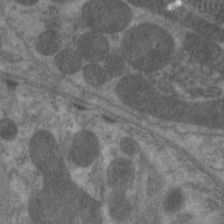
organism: C. elegans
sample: Pharynx